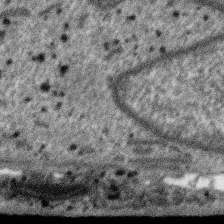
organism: Human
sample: Lung epithelial cells infected with SARS-CoV-2